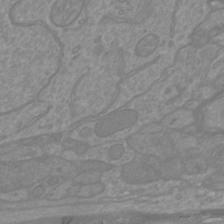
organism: Mouse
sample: Cortical neurons